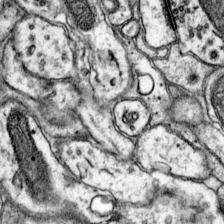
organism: Mouse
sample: Primary visual cortex